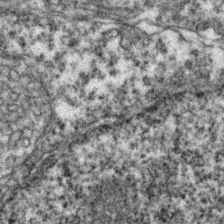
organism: Zebrafish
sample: Zebrafish embryo